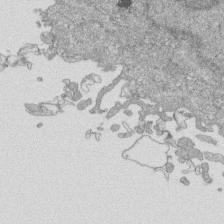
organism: Human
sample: HeLa cell HIV synapse